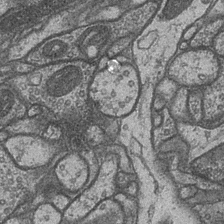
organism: Drosophila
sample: Optic medulla